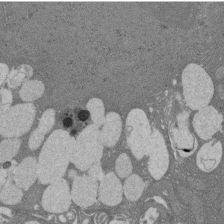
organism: Rat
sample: Salivary granule